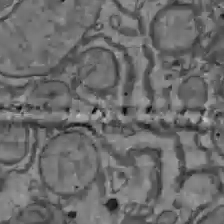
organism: C57BL Mouse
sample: Liver